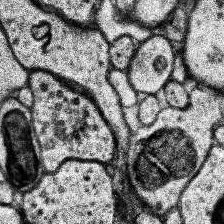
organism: Human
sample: Temporal Lobe